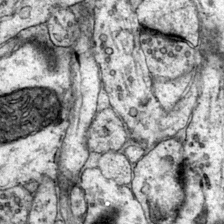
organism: Mouse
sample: Primary visual cortex